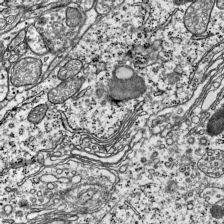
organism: Mouse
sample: Visual Cortex